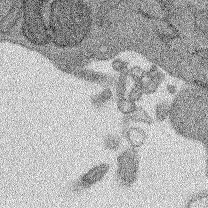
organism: Human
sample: HeLa cells